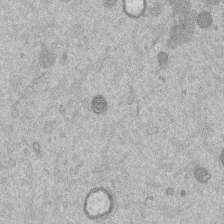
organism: Mouse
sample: Dividing mouse embryo 1 cell stage